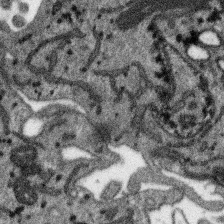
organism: Human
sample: Lung epithelial cells infected with SARS-CoV-2